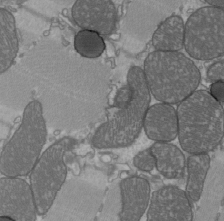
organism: C57BL Mouse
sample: Heart